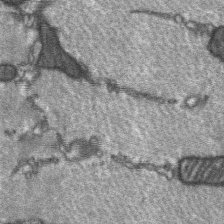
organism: C57BL Mouse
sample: Soleus